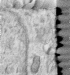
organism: Human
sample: Centriole in RPE cells